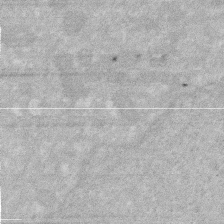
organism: Human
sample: HIV infected U937 cells